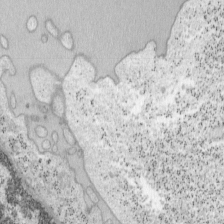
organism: Mouse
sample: OT-I killer T cells with ID8 ovarian cancer cells